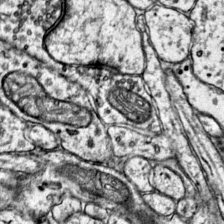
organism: Mouse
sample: Primary visual cortex